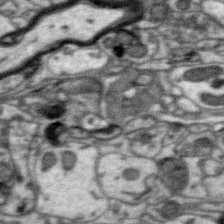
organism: Zebra finch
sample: Brain